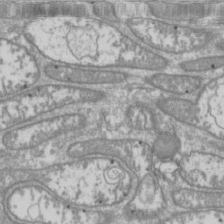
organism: Drosophila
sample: Cell division; meiosis; drosophila spermatocytes